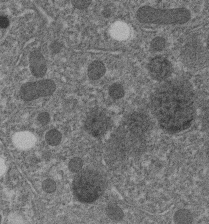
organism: C. elegans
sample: C. elegans embryo early stage